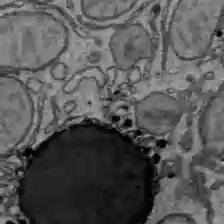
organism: C57BL Mouse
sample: Liver